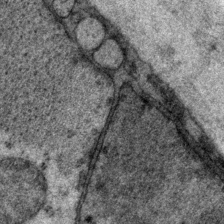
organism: P. pacificus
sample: Pharynx